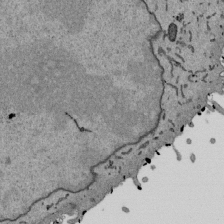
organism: Mouse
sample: ED-1 cell nuclei; centrioles